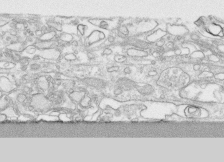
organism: Human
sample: CRL-1474